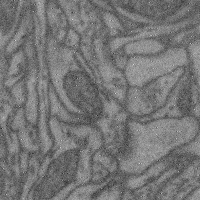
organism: Mouse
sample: Cerebral cortex